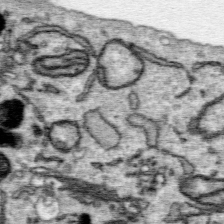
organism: Human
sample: HeLa cells